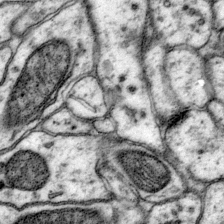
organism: Mouse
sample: Primary visual cortex